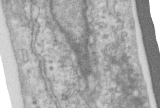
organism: Human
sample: Centriole in RPE cells